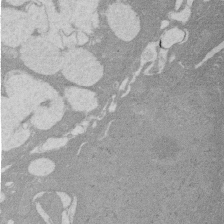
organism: Rat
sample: Salivary granule